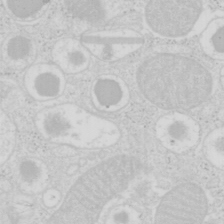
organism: Mouse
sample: Pancreas